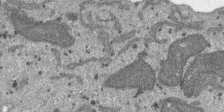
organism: Human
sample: Lung epithelial cells infected with SARS-CoV-2